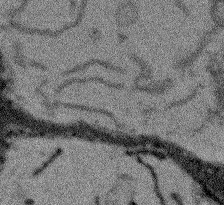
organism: Arabidopsis thaliana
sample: Root tip